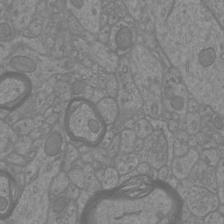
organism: Mouse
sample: Cortical neurons